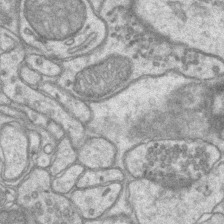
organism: Mouse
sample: CA1 Hippocampus